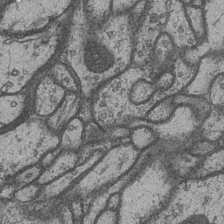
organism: Drosophila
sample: Optic medulla